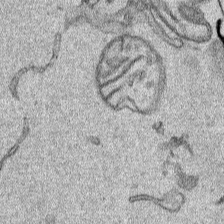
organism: Human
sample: Mitochondria in HCT116 cells